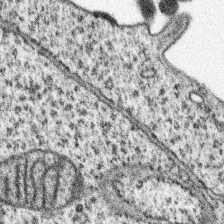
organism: Human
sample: HeLa cells